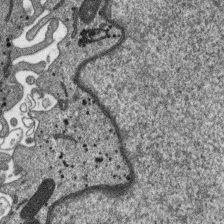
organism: Human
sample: Lung epithelial cells infected with SARS-CoV-2